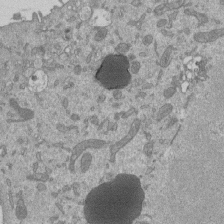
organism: Mouse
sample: ED-1 cell nuclei; centrioles